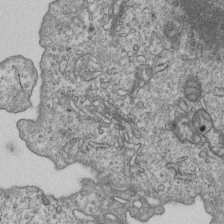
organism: Human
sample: MDA-MB-231 cells